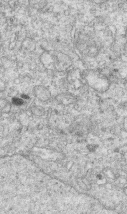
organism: Human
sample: HeLa cell HIV synapse